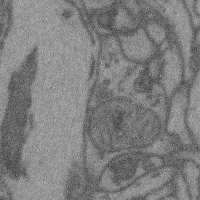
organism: Mouse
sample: Cerebral cortex